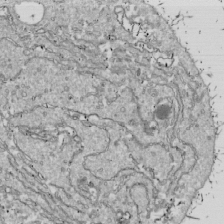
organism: Drosophila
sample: Cell division; meiosis; drosophila spermatocytes